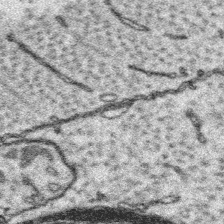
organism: Platynereis dumerilii